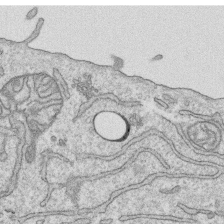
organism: Human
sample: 1205lu cells